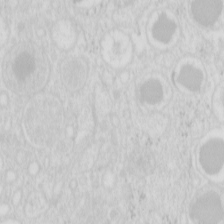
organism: Mouse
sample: Pancreas